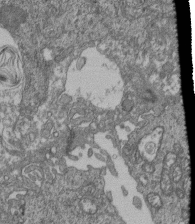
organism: Human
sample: Retinal organoid Rod and Cone cells